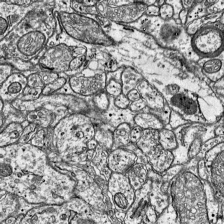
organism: Mouse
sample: Visual Cortex